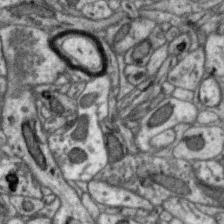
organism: Zebra finch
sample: Brain